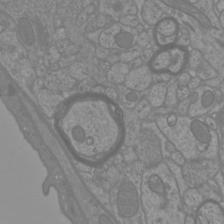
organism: Mouse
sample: Cortical neurons